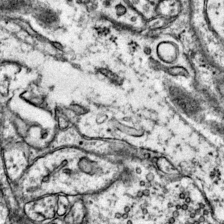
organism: Mouse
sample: Primary visual cortex